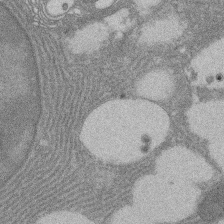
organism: Rat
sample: Salivary granule